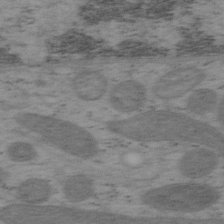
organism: Mouse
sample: OT-I killer T cells with ID8 ovarian cancer cells